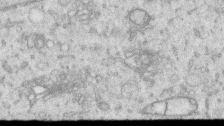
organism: Human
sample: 1205lu cells